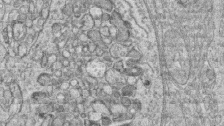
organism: Zebrafish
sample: synaptic ribbons in rod cells and cone cells